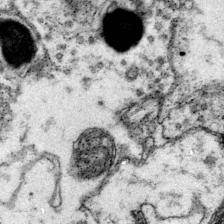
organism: Mouse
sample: Primary visual cortex